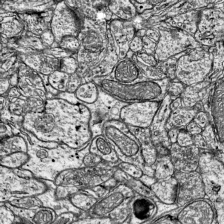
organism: Mouse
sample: Visual Cortex